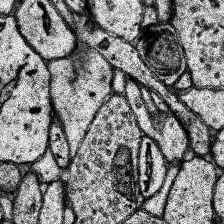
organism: Human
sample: Temporal Lobe